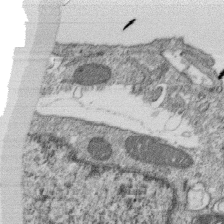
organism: African green monkey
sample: Vero E6 cells infected with SARS-CoV-2